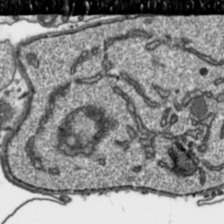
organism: Toxoplasma gondii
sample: Parasites in a vacuole inside a host cell